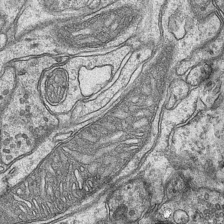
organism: Mouse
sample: CA1 Hippocampus